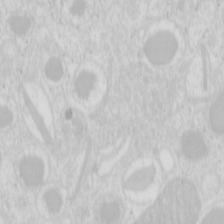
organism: Mouse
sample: Pancreas